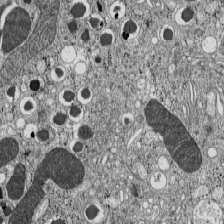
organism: C57BL Mouse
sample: Pancreatic islet